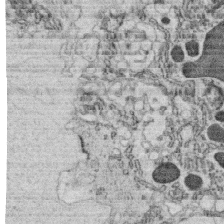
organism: C. elegans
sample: C. elegans oocyte; sperm cells